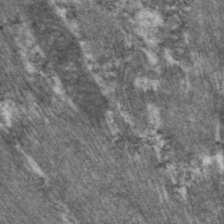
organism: C. elegans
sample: Pharynx